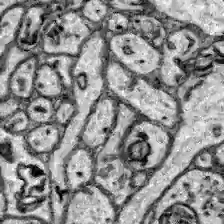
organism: Zebrafish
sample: Brain